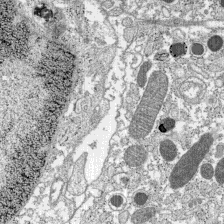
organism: C57BL Mouse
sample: Pancreatic islet